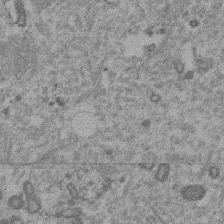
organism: Mouse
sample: Dividing mouse embryo 1 cell stage